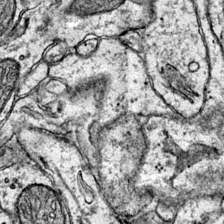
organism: Mouse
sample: Primary visual cortex